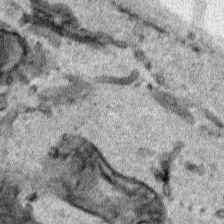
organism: Human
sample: Mitochondria in HCT116 cells